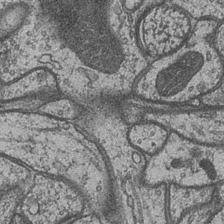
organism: Drosophila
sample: Optic medulla